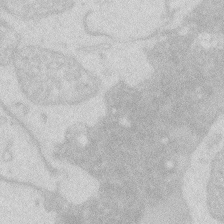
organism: Zebrafish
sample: Macrophage